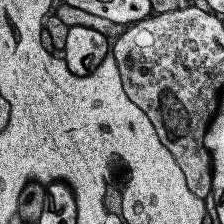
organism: Human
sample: Temporal Lobe